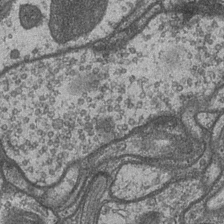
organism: Drosophila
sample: Optic medulla